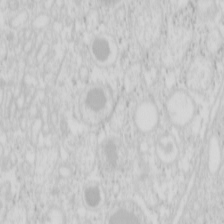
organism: Mouse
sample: Pancreas